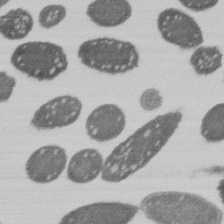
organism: E. coli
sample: Bacterial nucleoid